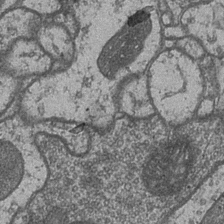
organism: Drosophila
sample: Optic medulla